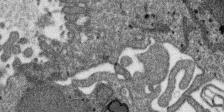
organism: Human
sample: Lung epithelial cells infected with SARS-CoV-2